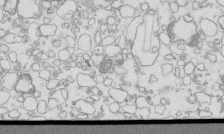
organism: Mouse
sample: Macrophages